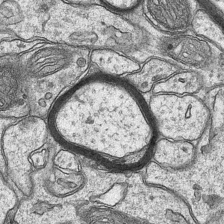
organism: Mouse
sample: CA1 Hippocampus